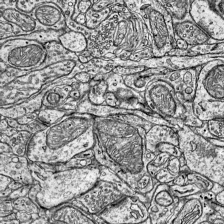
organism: Mouse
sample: Visual Cortex